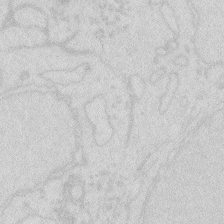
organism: Zebrafish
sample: Macrophage